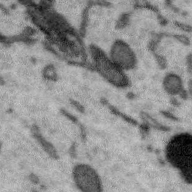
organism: Zebra finch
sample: Brain